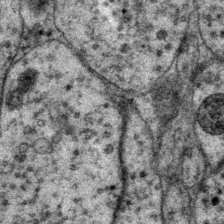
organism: P. pacificus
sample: Pharynx